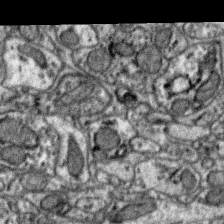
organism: Zebra finch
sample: Brain